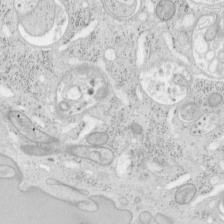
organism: Mouse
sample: OT-I killer T cells with ID8 ovarian cancer cells